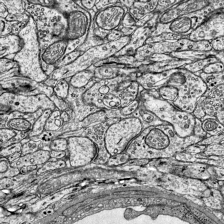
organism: Mouse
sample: Visual Cortex